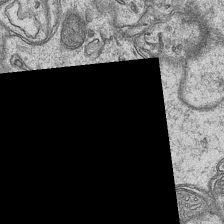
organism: Mouse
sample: CA1 Hippocampus